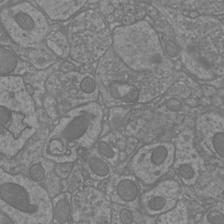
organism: Mouse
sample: Cortical neurons